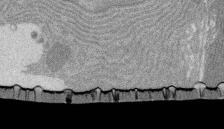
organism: Rat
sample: Salivary granule